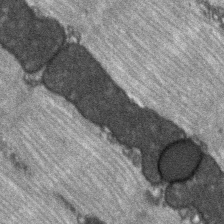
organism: C57BL Mouse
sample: Soleus